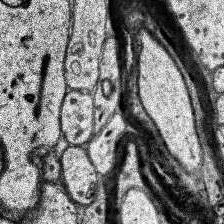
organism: Human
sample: Temporal Lobe